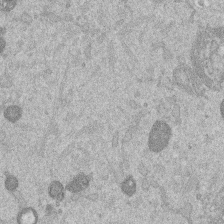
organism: Mouse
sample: Dividing mouse embryo 1 cell stage